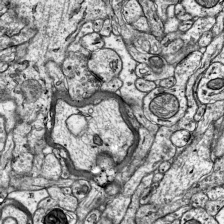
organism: Mouse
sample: Visual Cortex